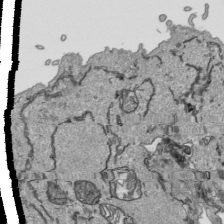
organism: Human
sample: Mitochondria in HCT116 cells